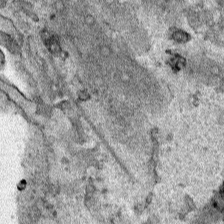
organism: Human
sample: Mitochondria in HCT116 cells